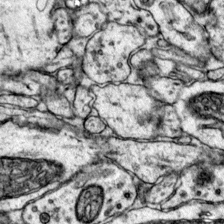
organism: Mouse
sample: Primary visual cortex